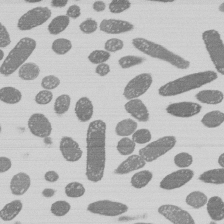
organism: E. coli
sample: Bacterial nucleoid